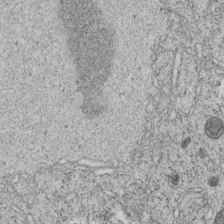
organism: C. elegans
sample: C. elegans embryo early stage